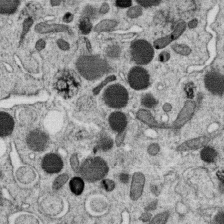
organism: C. elegans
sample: C. elegans oocyte; sperm cells